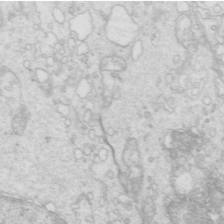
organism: Mouse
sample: Multiciliated cells